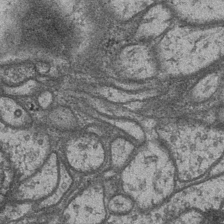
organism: Drosophila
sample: Optic medulla